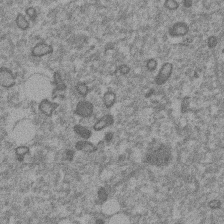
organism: Mouse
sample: Dividing mouse embryo 1 cell stage